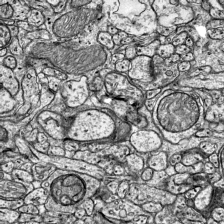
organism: Mouse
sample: Visual Cortex